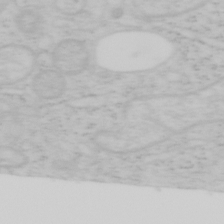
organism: Mouse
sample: OT-I killer T cells with ID8 ovarian cancer cells